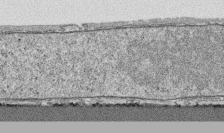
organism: Human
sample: CRL-1474